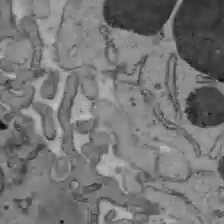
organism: C57BL Mouse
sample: Liver